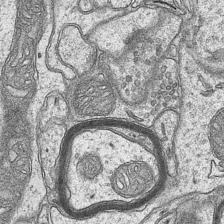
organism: Mouse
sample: CA1 Hippocampus